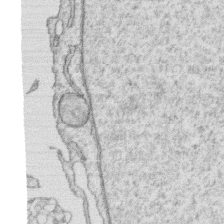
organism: Human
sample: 1205lu cells